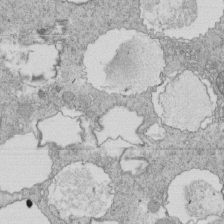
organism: Tetrahymena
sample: Cilia in tetrahymena